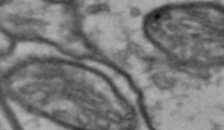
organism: Drosophila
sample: Brain